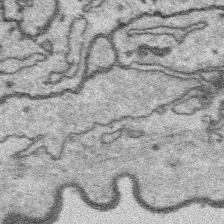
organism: Platynereis dumerilii